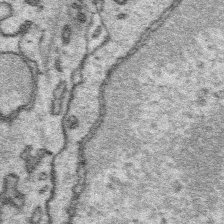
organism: Platynereis dumerilii